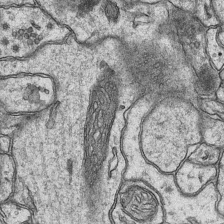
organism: Mouse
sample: CA1 Hippocampus